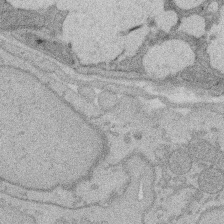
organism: Rat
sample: Salivary granule